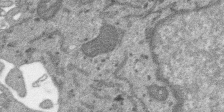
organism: Human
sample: Lung epithelial cells infected with SARS-CoV-2